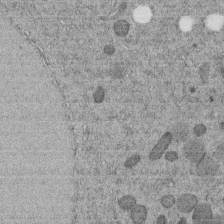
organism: C. elegans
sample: C. elegans embryo early stage